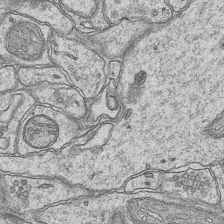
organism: Mouse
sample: CA1 Hippocampus